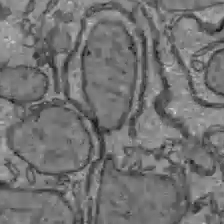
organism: C57BL Mouse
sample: Liver